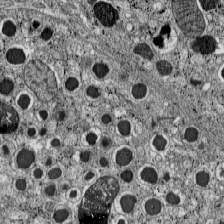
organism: C57BL Mouse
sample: Pancreatic islet